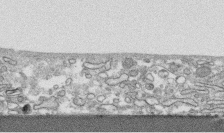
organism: Human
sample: CRL-1474